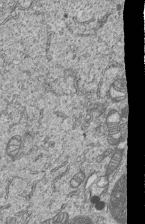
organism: Human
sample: MDA-MB-231 cells